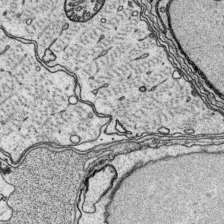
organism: Platynereis dumerilii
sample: Parapodia